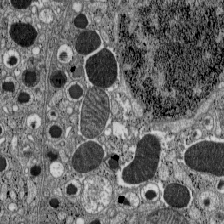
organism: C57BL Mouse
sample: Pancreatic islet